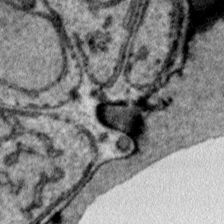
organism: Plasmodium falciparum